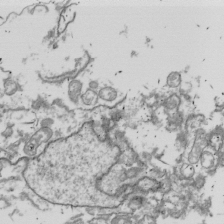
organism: Drosophila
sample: Cell division; meiosis; drosophila spermatocytes